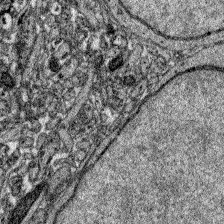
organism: Zebrafish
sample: Larval olfactory bulb